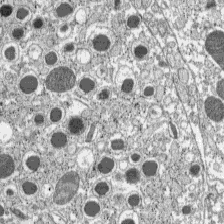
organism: C57BL Mouse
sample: Pancreatic islet